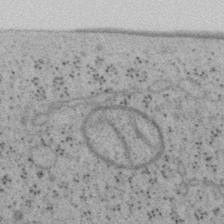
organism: Human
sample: HeLa cells